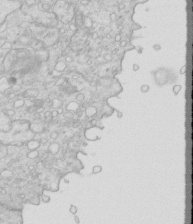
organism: Mouse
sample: Multiciliated cells